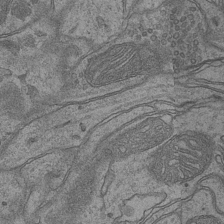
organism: Mouse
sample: CA1 Hippocampus